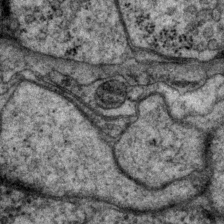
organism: P. pacificus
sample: Pharynx